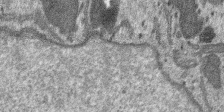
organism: Human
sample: Lung epithelial cells infected with SARS-CoV-2